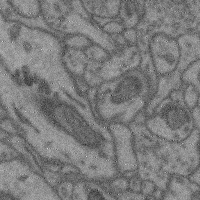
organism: Mouse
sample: Cerebral cortex